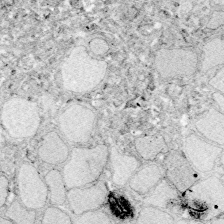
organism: Zebrafish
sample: Whole-Brain